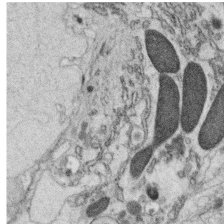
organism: C. elegans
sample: C. elegans oocyte; sperm cells